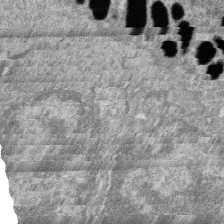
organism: Zebrafish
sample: Cilia; retinal pigment epithelium